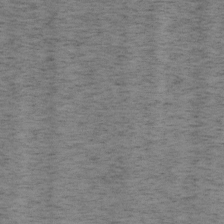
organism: Mouse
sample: OT-I killer T cells with ID8 ovarian cancer cells